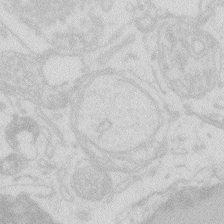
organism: Zebrafish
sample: Macrophage